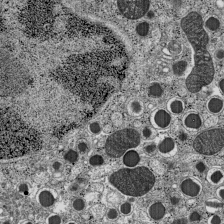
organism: C57BL Mouse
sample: Pancreatic islet